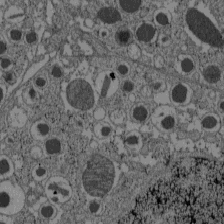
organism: C57BL Mouse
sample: Pancreatic islet